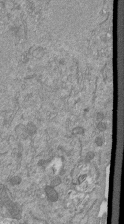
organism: Mouse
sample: ED-1 cell nuclei; centrioles